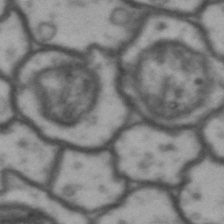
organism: Drosophila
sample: Brain